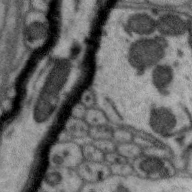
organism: Zebra finch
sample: Brain